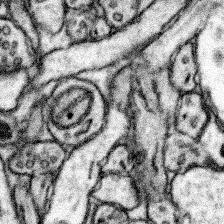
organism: Mouse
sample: Somatosensory cortex neuropil